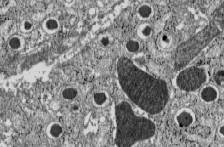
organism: C57BL Mouse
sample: Pancreatic islet